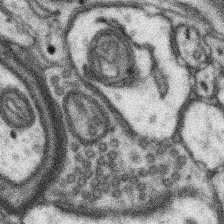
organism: Mouse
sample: Somatosensory cortex neuropil